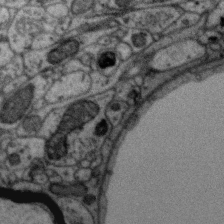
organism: Zebra finch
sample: Brain